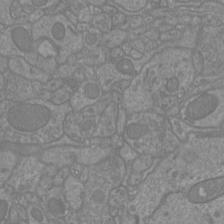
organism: Mouse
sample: Cortical neurons